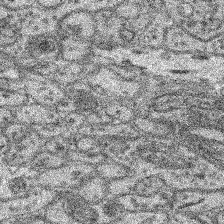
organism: Mouse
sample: Retina